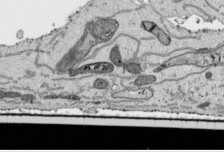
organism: Human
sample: Mitochondria in HCT116 cells